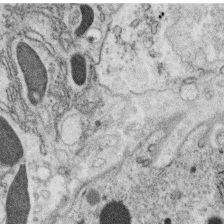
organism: C. elegans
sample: C. elegans oocyte; sperm cells